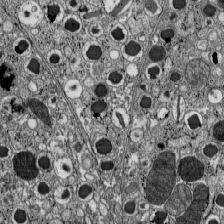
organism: C57BL Mouse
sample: Pancreatic islet